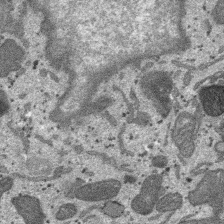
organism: Human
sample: Lung epithelial cells infected with SARS-CoV-2